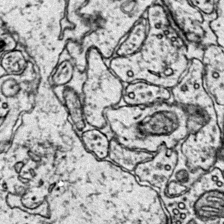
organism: Mouse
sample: Primary visual cortex